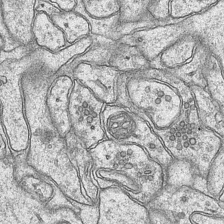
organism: Mouse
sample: CA1 Hippocampus